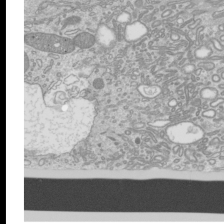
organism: Mouse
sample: Cilia; mouse epididymis